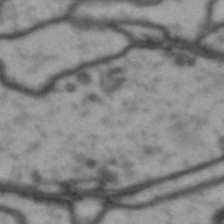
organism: Drosophila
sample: Brain